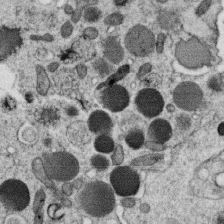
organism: C. elegans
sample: C. elegans oocyte; sperm cells